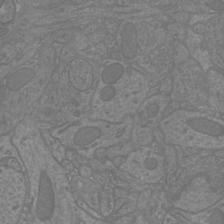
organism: Mouse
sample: Cortical neurons